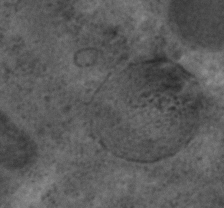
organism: C. elegans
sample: C. elegans embryo